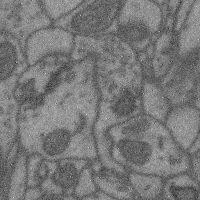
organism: Mouse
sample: Cerebral cortex